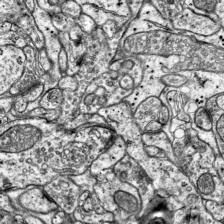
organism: Mouse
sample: Visual Cortex